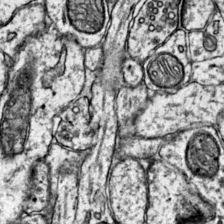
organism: Mouse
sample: Primary visual cortex